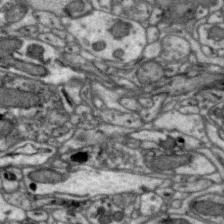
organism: Zebra finch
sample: Brain